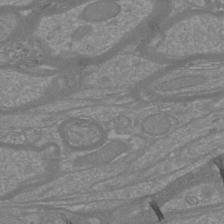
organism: Mouse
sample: Cortical neurons